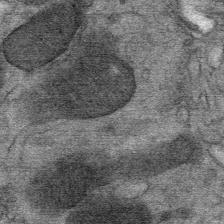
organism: Mouse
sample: Mouse Salivary gland